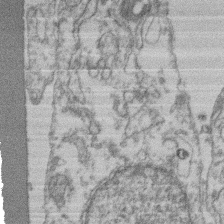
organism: Mouse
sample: T cell stromal cell synapse